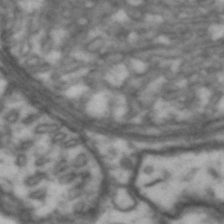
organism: Drosophila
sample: Brain